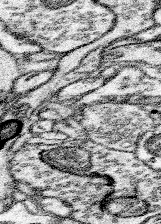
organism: Mouse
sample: Somatosensory cortex neuropil